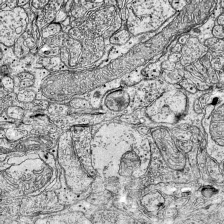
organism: Mouse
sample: Visual Cortex